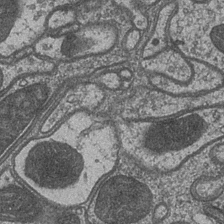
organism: Drosophila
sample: Optic medulla